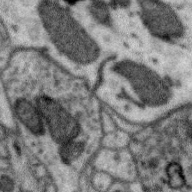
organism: Zebra finch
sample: Brain